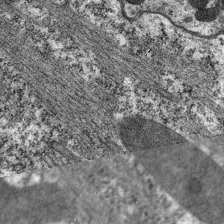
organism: C. elegans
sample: Pharynx